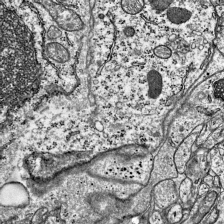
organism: Mouse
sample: Visual Cortex